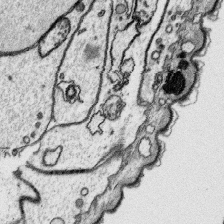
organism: Platynereis dumerilii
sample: Parapodia